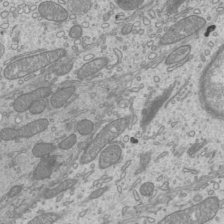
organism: Mouse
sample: Cilia; mouse epididymis